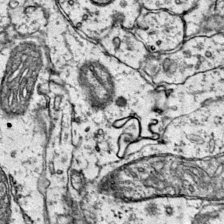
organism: Mouse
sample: Primary visual cortex